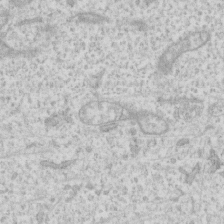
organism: Human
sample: Fibroblast cells